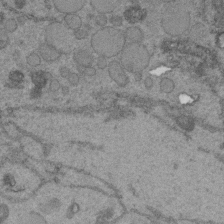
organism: C. elegans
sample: C. elegans embryo early stage